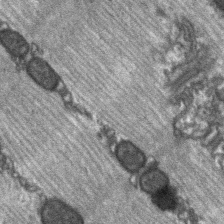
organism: C57BL Mouse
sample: Soleus